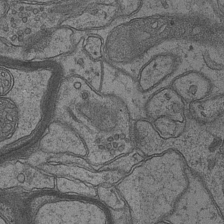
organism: Mouse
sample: CA1 Hippocampus